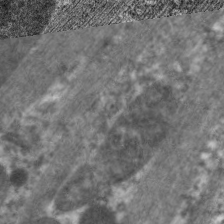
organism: C. elegans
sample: Pharynx